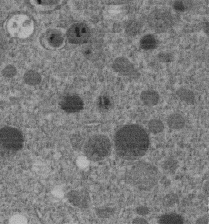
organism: C. elegans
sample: C. elegans embryo early stage